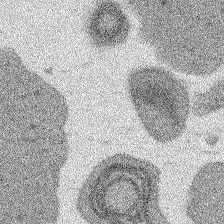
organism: Human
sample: HeLa cells